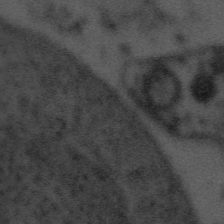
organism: Tuwongella immobilis